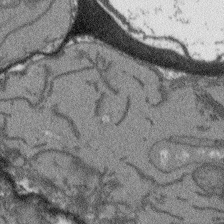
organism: Arabidopsis thaliana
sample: Root tip